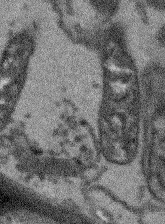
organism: Arabidopsis thaliana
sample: Root tip